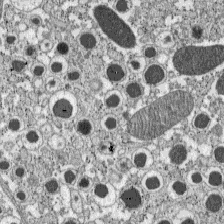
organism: C57BL Mouse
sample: Pancreatic islet